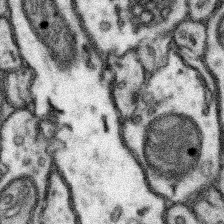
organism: Mouse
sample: Somatosensory cortex neuropil